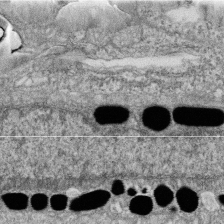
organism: Zebrafish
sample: Cilia; retinal pigment epithelium